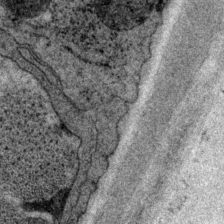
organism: P. pacificus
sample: Pharynx